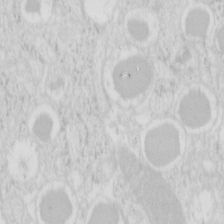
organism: Mouse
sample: Pancreas